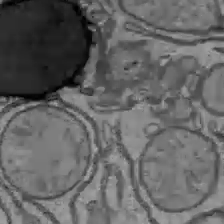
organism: C57BL Mouse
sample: Liver